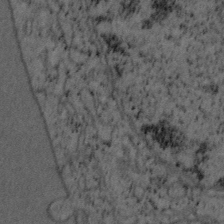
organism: Human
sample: HeLa cells